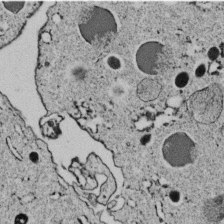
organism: C. elegans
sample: C. elegans embryo early stage